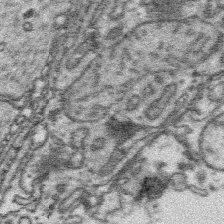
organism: Platynereis dumerilii